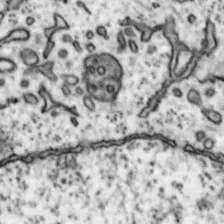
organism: Mouse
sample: Nucleus accumbens